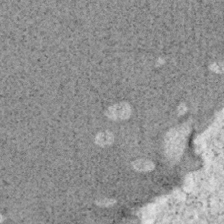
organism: Mouse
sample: OT-I killer T cells with ID8 ovarian cancer cells